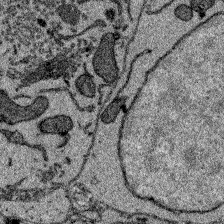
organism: Zebrafish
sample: Larval olfactory bulb